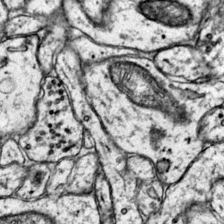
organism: Mouse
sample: Primary visual cortex